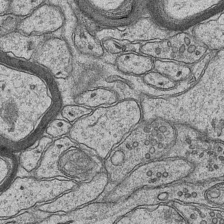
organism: Mouse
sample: CA1 Hippocampus